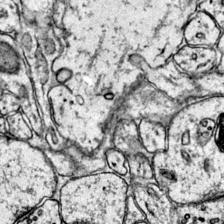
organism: Mouse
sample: Primary visual cortex